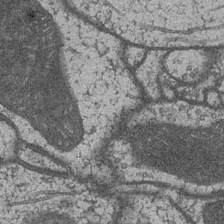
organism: Drosophila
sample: Optic medulla